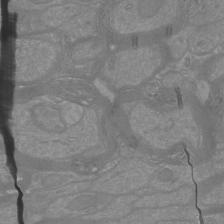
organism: Mouse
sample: Cortical neurons